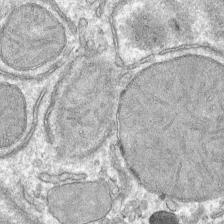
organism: Mouse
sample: Mouse hepatocytes